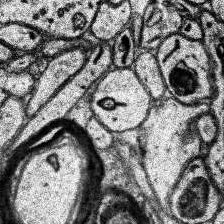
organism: Human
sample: Temporal Lobe